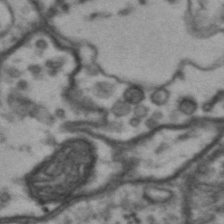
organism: Drosophila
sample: Brain